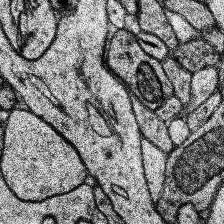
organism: Human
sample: Temporal Lobe